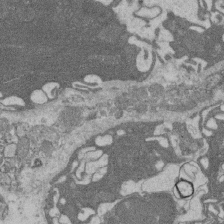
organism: Rat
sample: Salivary granule